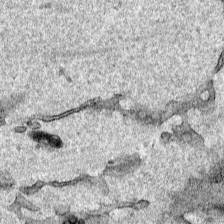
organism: Human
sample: Mitochondria in HCT116 cells